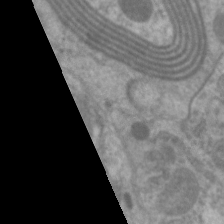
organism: C. elegans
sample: Pharynx